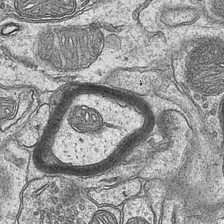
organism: Mouse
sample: CA1 Hippocampus